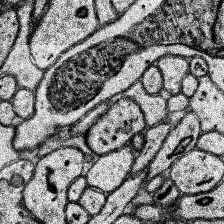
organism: Human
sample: Temporal Lobe